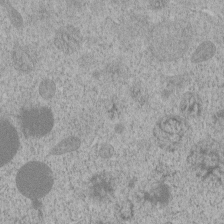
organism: C. elegans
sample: C. elegans embryo early stage